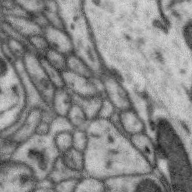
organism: Zebra finch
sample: Brain